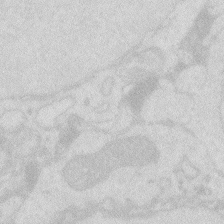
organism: Zebrafish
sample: Macrophage